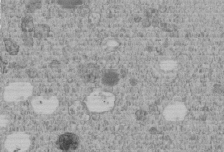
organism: C. elegans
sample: C. elegans embryo early stage